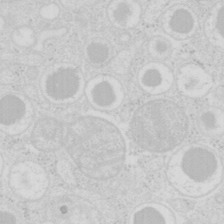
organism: Mouse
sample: Pancreas